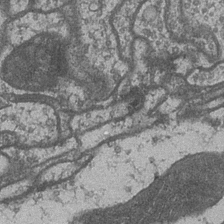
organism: Drosophila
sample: Optic medulla